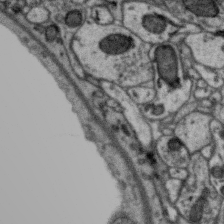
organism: Zebra finch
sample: Brain